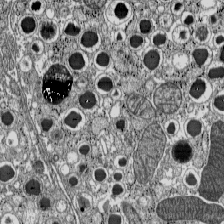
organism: C57BL Mouse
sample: Pancreatic islet